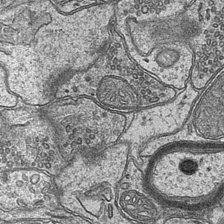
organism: Mouse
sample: CA1 Hippocampus